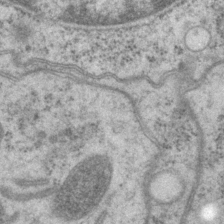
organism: P. pacificus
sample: Pharynx